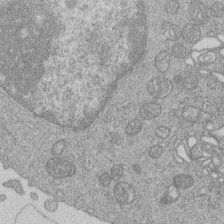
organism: Human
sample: Macrophage cells